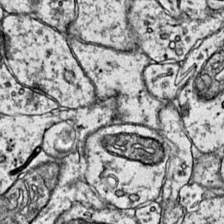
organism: Mouse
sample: Primary visual cortex